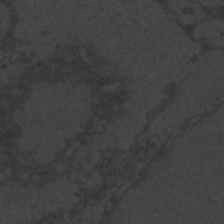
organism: Zebrafish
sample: Macrophage infected with Toxoplasma gondii